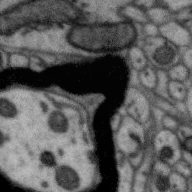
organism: Zebra finch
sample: Brain